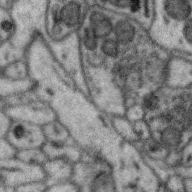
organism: Zebra finch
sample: Brain